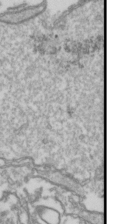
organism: Drosophila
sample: Cell division; meiosis; drosophila spermatocytes